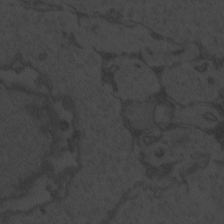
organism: Zebrafish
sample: Macrophage infected with Toxoplasma gondii